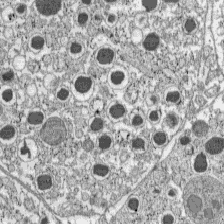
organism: C57BL Mouse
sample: Pancreatic islet